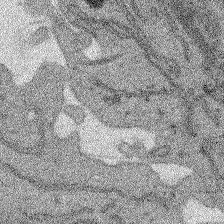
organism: Human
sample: HeLa cells